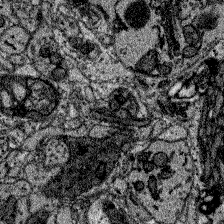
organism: Zebrafish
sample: Larval olfactory bulb